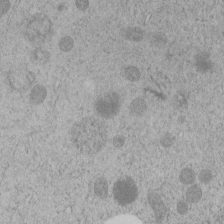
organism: C. elegans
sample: C. elegans embryo early stage